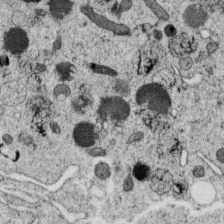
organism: C. elegans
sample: C. elegans oocyte; sperm cells